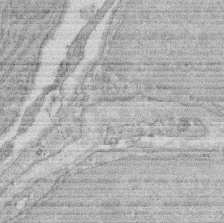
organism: Rat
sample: Salivary granule